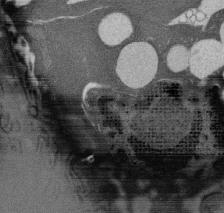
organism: Rat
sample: Salivary granule